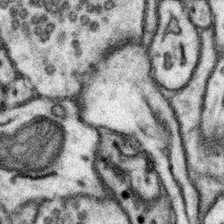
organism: Mouse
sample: Somatosensory cortex neuropil